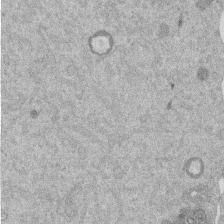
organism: Mouse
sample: Dividing mouse embryo 1 cell stage